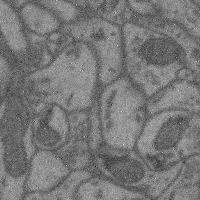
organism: Mouse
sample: Cerebral cortex